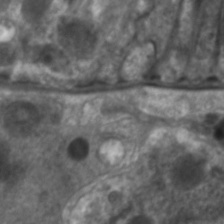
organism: C. elegans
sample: Pharynx